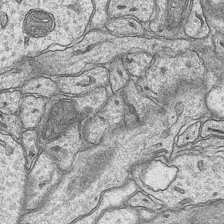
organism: Mouse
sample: CA1 Hippocampus